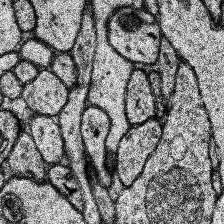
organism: Human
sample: Temporal Lobe